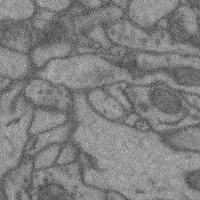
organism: Mouse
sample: Cerebral cortex